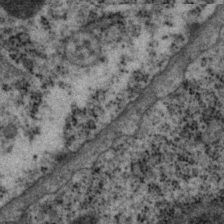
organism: P. pacificus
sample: Pharynx